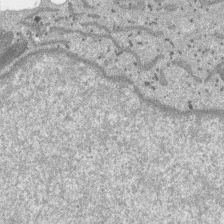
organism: Human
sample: Lung epithelial cells infected with SARS-CoV-2